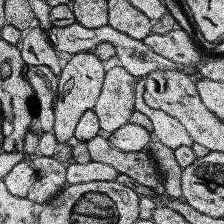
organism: Human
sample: Temporal Lobe